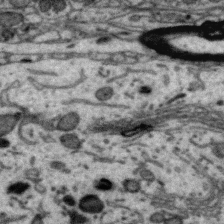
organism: Zebra finch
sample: Brain